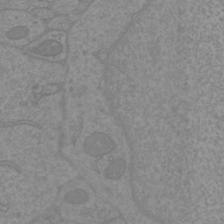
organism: Mouse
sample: Cortical neurons